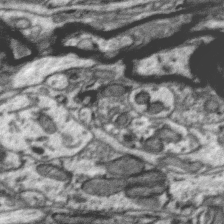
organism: Zebra finch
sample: Brain